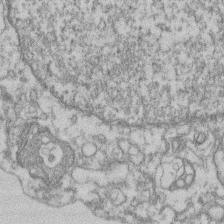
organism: Mouse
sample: T cell stromal cell synapse